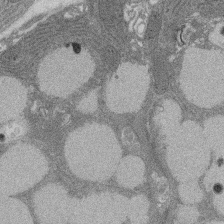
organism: Rat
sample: Salivary granule